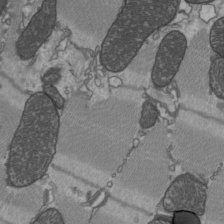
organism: C57BL Mouse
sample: Heart